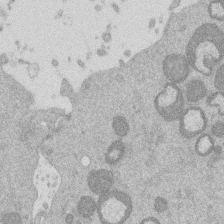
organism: Mouse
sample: Dividing mouse embryo 1 cell stage